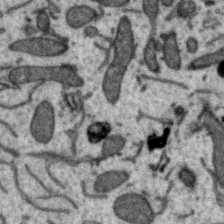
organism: Zebra finch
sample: Brain